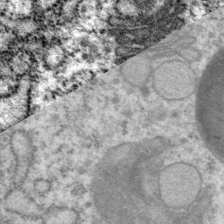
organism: P. pacificus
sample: Pharynx